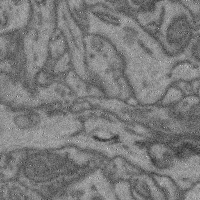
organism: Mouse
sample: Cerebral cortex